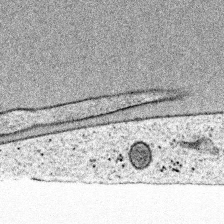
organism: Human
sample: HeLa cells